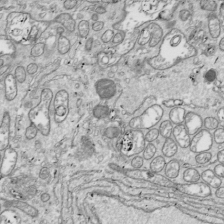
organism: Drosophila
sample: Cell division; meiosis; drosophila spermatocytes